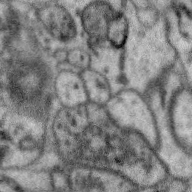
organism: Zebra finch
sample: Brain